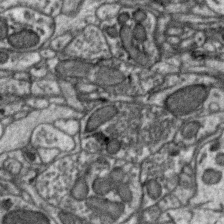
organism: Zebra finch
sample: Brain